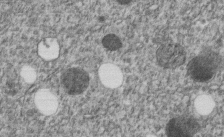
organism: C. elegans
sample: C. elegans embryo early stage